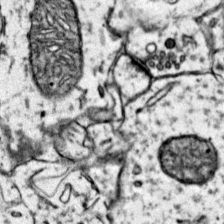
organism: Mouse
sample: Primary visual cortex